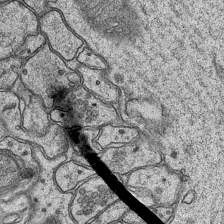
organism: Mouse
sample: CA1 Hippocampus